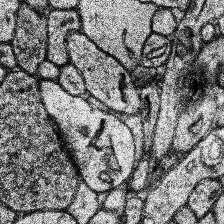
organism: Human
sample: Temporal Lobe